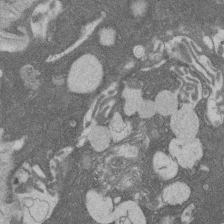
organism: Rat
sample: Salivary granule